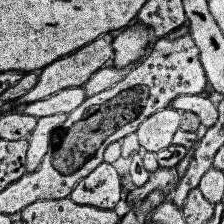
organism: Human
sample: Temporal Lobe